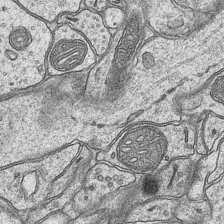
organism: Mouse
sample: CA1 Hippocampus